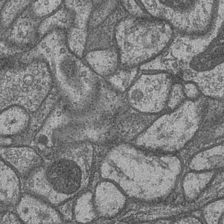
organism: Drosophila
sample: Optic medulla